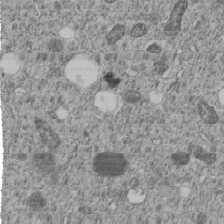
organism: C. elegans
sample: C. elegans embryo early stage